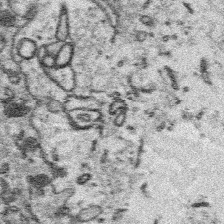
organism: Platynereis dumerilii